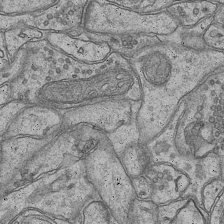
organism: Mouse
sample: CA1 Hippocampus